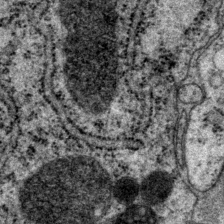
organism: P. pacificus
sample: Pharynx